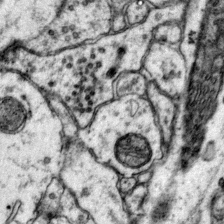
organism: Mouse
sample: Primary visual cortex